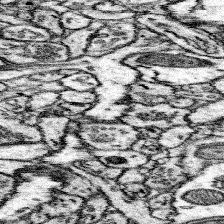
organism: Mouse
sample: Somatosensory cortex neuropil